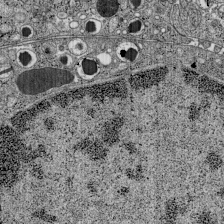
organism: C57BL Mouse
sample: Pancreatic islet